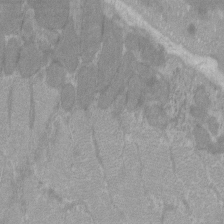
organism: C57BL Mouse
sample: Tibialis anterior muscle cell